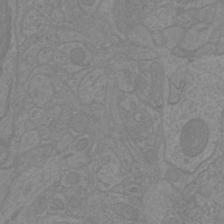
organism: Mouse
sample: Cortical neurons